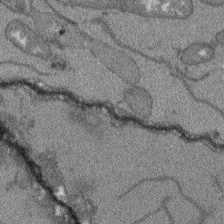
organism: Arabidopsis thaliana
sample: Root tip